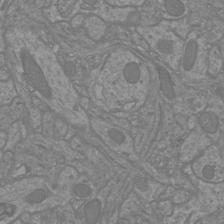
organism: Mouse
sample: Cortical neurons